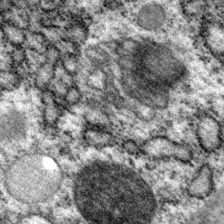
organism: P. pacificus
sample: Pharynx